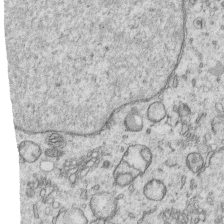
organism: Human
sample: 1205lu cells